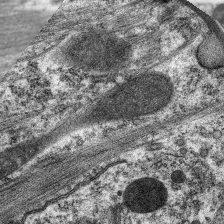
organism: C. elegans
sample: Pharynx